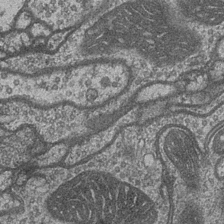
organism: Drosophila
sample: Optic medulla